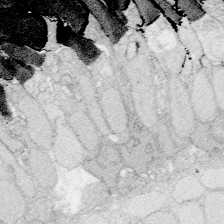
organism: Zebrafish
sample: Whole-Brain